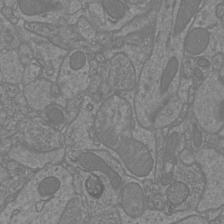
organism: Mouse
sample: Cortical neurons